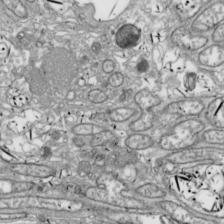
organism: Drosophila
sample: Cell division; meiosis; drosophila spermatocytes